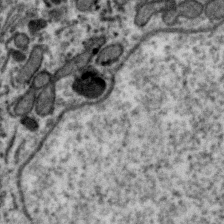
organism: Zebra finch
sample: Brain